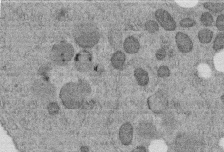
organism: C. elegans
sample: C. elegans embryo early stage